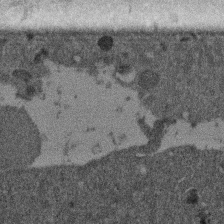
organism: Mouse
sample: Dividing mouse embryo 1 cell stage